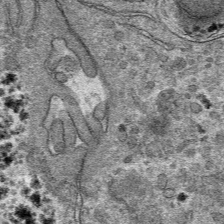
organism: Mouse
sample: Mouse hepatocytes